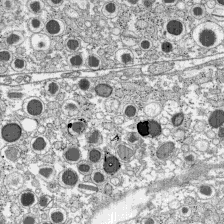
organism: C57BL Mouse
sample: Pancreatic islet